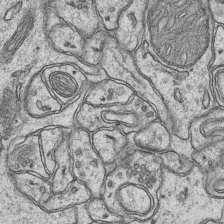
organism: Mouse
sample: CA1 Hippocampus